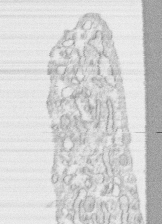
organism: Human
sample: CRL-1474